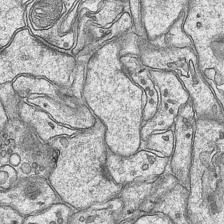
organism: Mouse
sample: CA1 Hippocampus